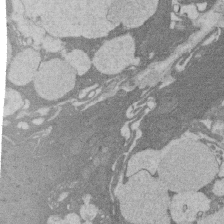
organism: Rat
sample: Salivary granule